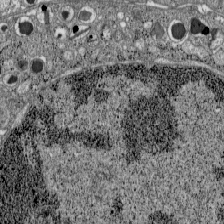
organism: C57BL Mouse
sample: Pancreatic islet